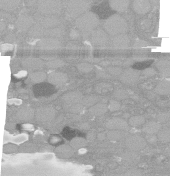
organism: C. elegans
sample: C. elegans oocyte; sperm cells